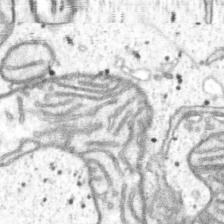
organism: Human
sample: HeLa cells